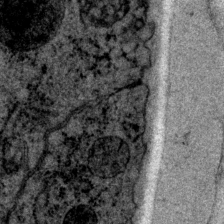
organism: P. pacificus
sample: Pharynx